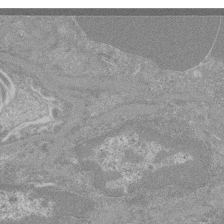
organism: Mouse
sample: Glomerulus